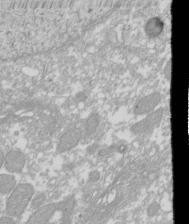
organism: Xenopus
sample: Cilia; centrioles in frog embryo cells